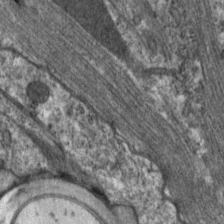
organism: C. elegans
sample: Pharynx